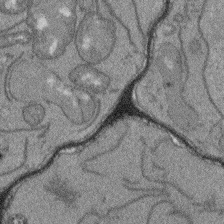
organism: Arabidopsis thaliana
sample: Root tip